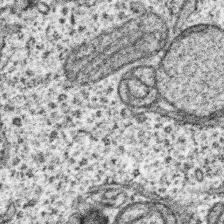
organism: Human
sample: HeLa cells